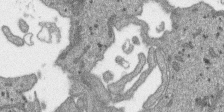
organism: Human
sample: Lung epithelial cells infected with SARS-CoV-2